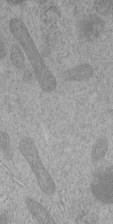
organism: C. elegans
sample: C. elegans embryo early stage